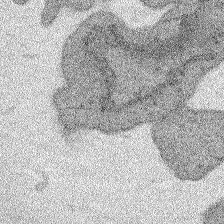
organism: Human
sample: HeLa cells